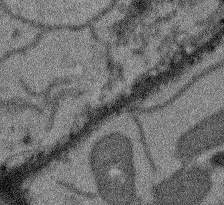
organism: Arabidopsis thaliana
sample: Root tip